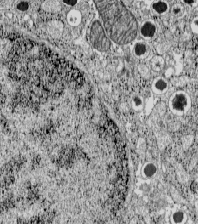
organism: C57BL Mouse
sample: Pancreatic islet